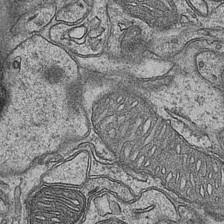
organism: Mouse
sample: CA1 Hippocampus